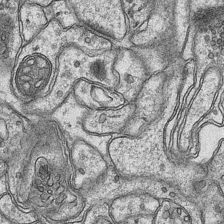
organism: Mouse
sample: CA1 Hippocampus